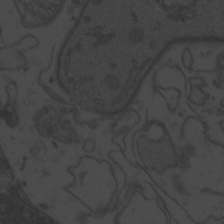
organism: Zebrafish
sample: Macrophage infected with Toxoplasma gondii